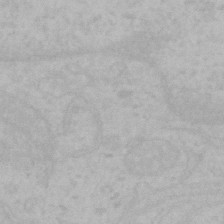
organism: Mouse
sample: Choroid plexus